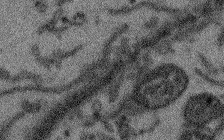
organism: Arabidopsis thaliana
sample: Root tip